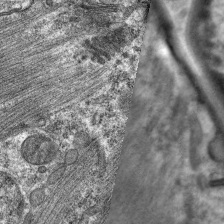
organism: C. elegans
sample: Pharynx